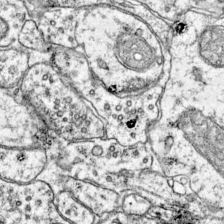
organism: Mouse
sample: Primary visual cortex